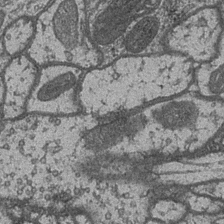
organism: Drosophila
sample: Optic medulla